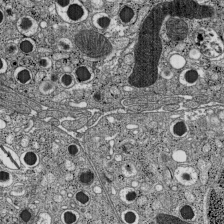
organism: C57BL Mouse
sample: Pancreatic islet